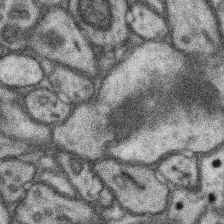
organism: Mouse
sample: Somatosensory cortex neuropil